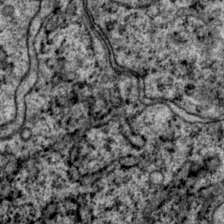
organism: P. pacificus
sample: Pharynx